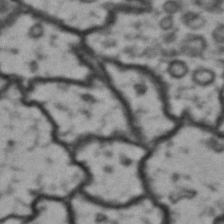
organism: Drosophila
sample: Brain